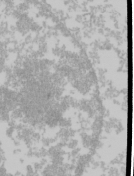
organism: Mouse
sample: Cancer cell death in ED-1 cells